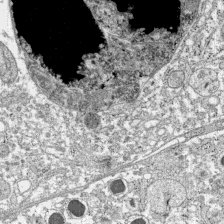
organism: C57BL Mouse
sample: Pancreatic islet